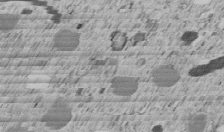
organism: C. elegans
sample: C. elegans embryo early stage